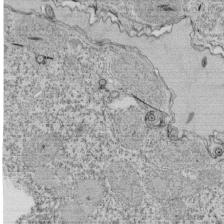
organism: Tetrahymena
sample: Cilia in tetrahymena